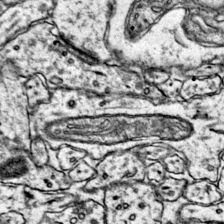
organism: Mouse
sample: Primary visual cortex